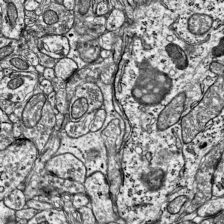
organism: Mouse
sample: Visual Cortex